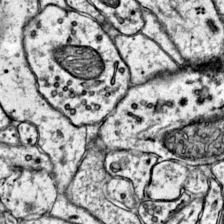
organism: Mouse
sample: Primary visual cortex